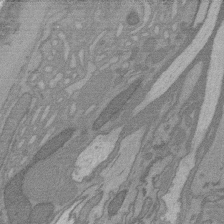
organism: C. elegans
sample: AFD neurons C. elegans